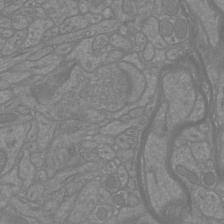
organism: Mouse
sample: Cortical neurons